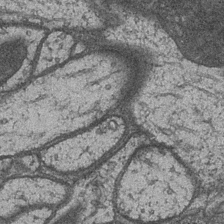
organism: Drosophila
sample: Optic medulla